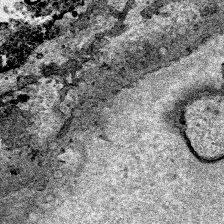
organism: Human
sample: Mitochondria in HCT116 cells